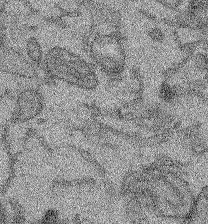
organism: Human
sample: HeLa cells